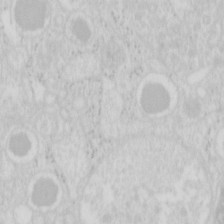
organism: Mouse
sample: Pancreas